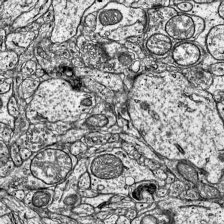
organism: Mouse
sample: Visual Cortex